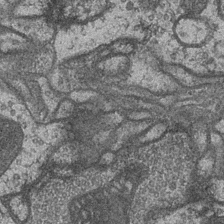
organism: Drosophila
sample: Optic medulla